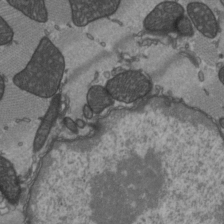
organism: C57BL Mouse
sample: Heart